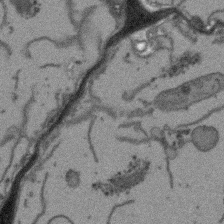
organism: Arabidopsis thaliana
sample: Root tip